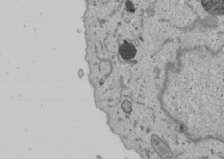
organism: Human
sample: Mitochondria in U2OS cells